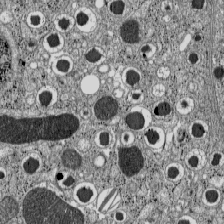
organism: C57BL Mouse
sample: Pancreatic islet